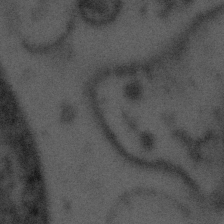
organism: Tuwongella immobilis